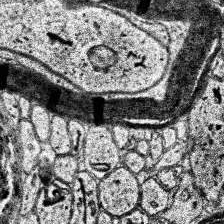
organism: Human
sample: Temporal Lobe